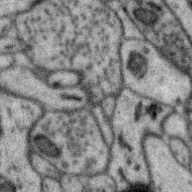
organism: Zebra finch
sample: Brain